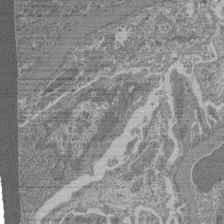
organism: Mouse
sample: Glomerulus